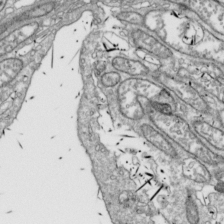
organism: Drosophila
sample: Cell division; meiosis; drosophila spermatocytes